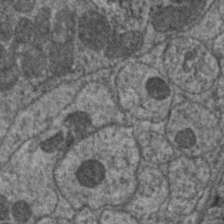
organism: C. elegans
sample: Pharynx